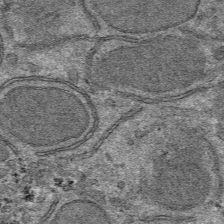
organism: Mouse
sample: Mouse hepatocytes